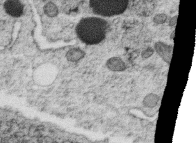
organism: C. elegans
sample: C. elegans oocyte; sperm cells